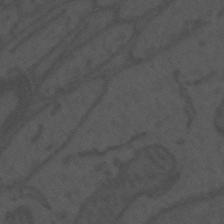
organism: Mouse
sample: Suprachiasmatic nucleus